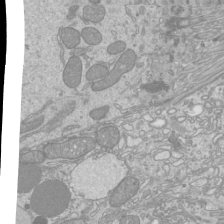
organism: Mouse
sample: Cilia; mouse epididymis